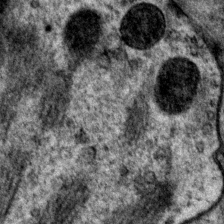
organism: P. pacificus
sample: Pharynx